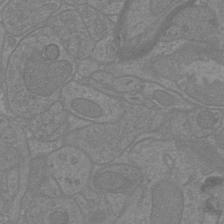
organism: Mouse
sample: Cortical neurons